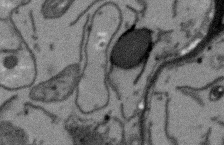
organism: Arabidopsis thaliana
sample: Root tip